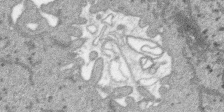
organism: Human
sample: Lung epithelial cells infected with SARS-CoV-2